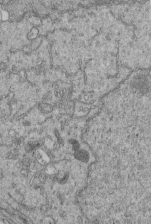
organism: Human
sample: Retinal organoid Rod and Cone cells